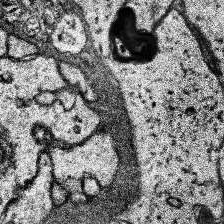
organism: Human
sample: Temporal Lobe